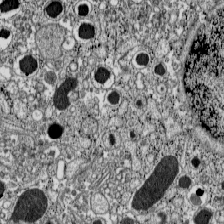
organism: C57BL Mouse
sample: Pancreatic islet